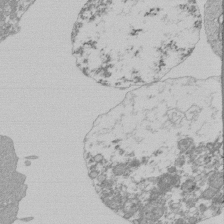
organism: Mouse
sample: Activated Pmel transgenic CD8+ T Cells